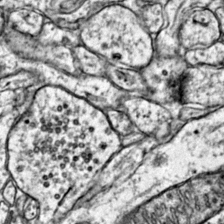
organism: Mouse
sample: Primary visual cortex